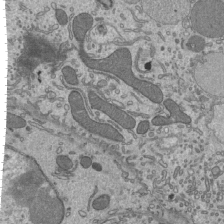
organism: Mouse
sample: Mouse epididymis efferent ductule cilia